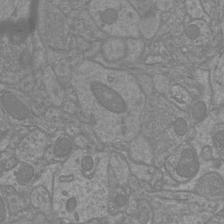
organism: Mouse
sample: Cortical neurons